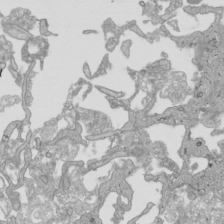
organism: Human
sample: Mitochondria in HCT116 cells